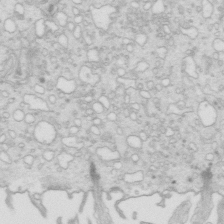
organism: Mouse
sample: Multiciliated cells